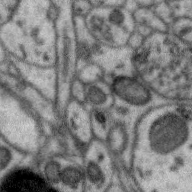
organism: Zebra finch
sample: Brain